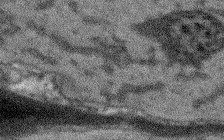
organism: Arabidopsis thaliana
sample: Root tip